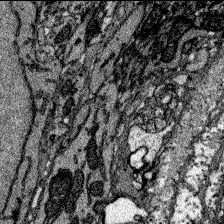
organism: Zebrafish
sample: Larval olfactory bulb